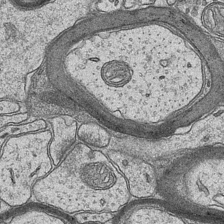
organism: Mouse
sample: CA1 Hippocampus